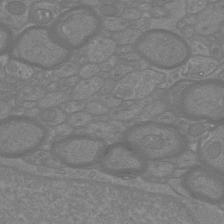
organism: Mouse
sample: Cortical neurons